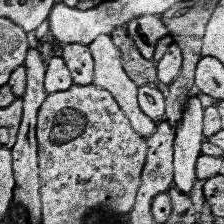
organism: Human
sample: Temporal Lobe